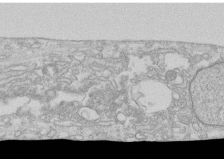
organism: Human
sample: CRL-1474